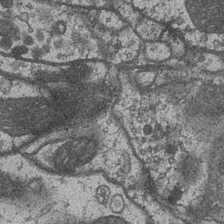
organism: Drosophila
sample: Optic medulla